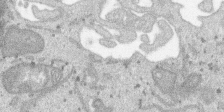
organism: Human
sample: Lung epithelial cells infected with SARS-CoV-2